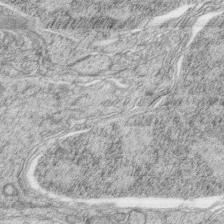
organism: Zebrafish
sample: synaptic ribbons in rod cells and cone cells